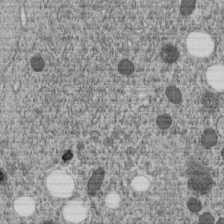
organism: C. elegans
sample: C. elegans embryo early stage